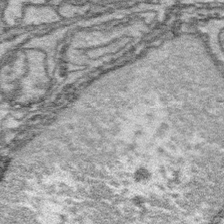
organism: Platynereis dumerilii